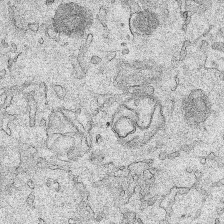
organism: Human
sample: Mitochondria in HCT116 cells